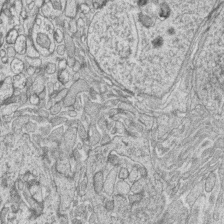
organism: Zebrafish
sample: synaptic ribbons in rod cells and cone cells